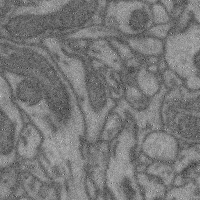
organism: Mouse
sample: Cerebral cortex